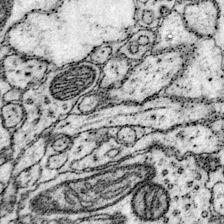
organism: Mouse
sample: Primary visual cortex